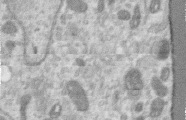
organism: Human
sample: Centriole in RPE cells